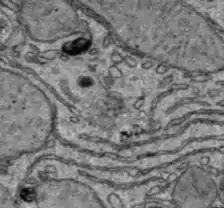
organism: C57BL Mouse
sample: Liver